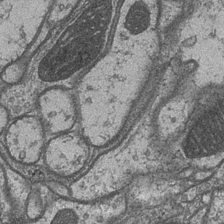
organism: Drosophila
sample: Optic medulla